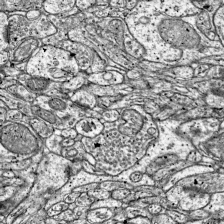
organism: Mouse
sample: Visual Cortex